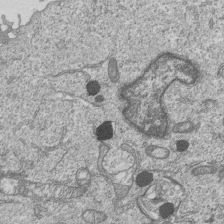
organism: Human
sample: MDA-MB-231 cells